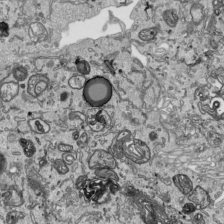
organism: Human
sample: Mitochondria in HCT116 cells